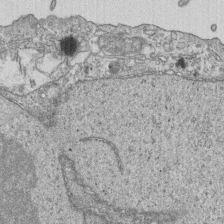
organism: Human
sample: HeLa cell HIV synapse